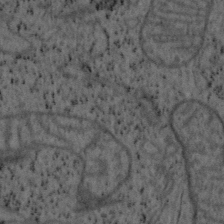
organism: Human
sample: HeLa cells